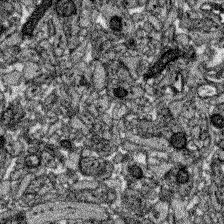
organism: Zebrafish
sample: Larval olfactory bulb